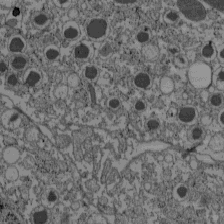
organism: C57BL Mouse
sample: Pancreatic islet